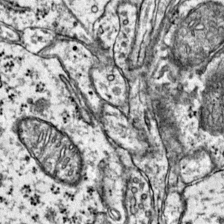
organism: Mouse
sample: Primary visual cortex